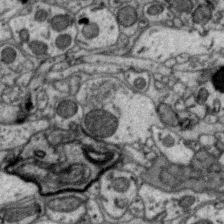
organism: Zebra finch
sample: Brain